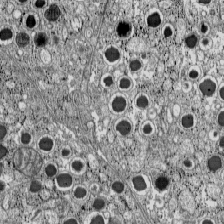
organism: C57BL Mouse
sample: Pancreatic islet